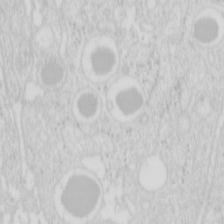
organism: Mouse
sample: Pancreas